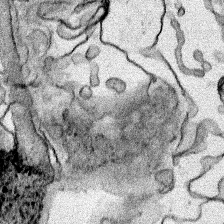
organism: Human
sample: Mitochondria in HCT116 cells